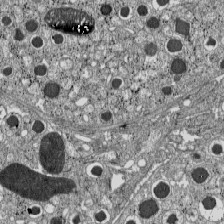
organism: C57BL Mouse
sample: Pancreatic islet